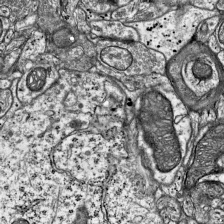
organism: Mouse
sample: Visual Cortex